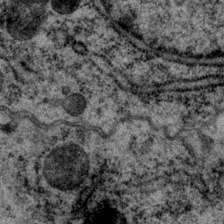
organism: P. pacificus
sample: Pharynx